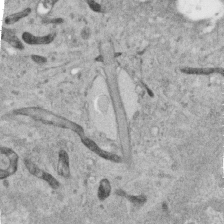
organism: Human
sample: Centriole in RPE cells